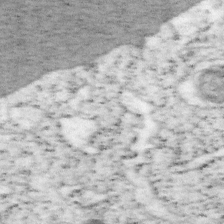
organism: Mouse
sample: OT-I killer T cells with ID8 ovarian cancer cells